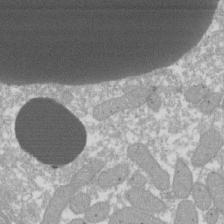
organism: Xenopus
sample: Cilia; centrioles in frog embryo cells